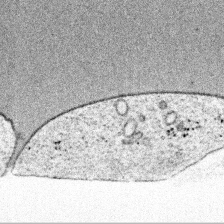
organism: Human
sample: HeLa cells